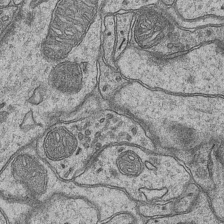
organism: Mouse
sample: CA1 Hippocampus